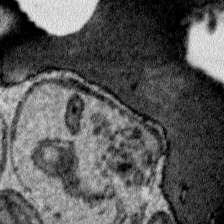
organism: Plasmodium falciparum